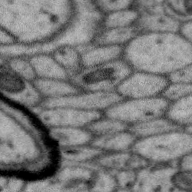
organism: Zebra finch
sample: Brain